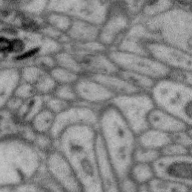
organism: Zebra finch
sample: Brain